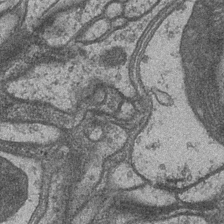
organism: Drosophila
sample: Optic medulla